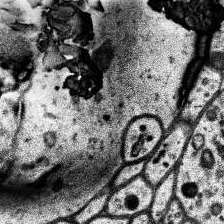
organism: Human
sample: Temporal Lobe